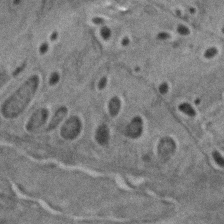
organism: C. elegans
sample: C. elegans embryo